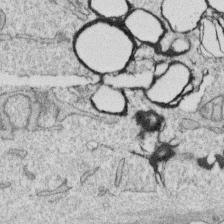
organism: Human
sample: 1205lu cells